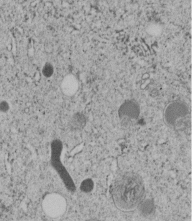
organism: C. elegans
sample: C. elegans embryo early stage